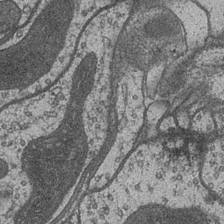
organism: Drosophila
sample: Optic medulla